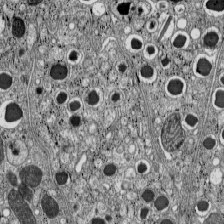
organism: C57BL Mouse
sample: Pancreatic islet